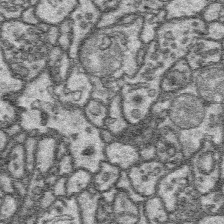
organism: Platynereis dumerilii